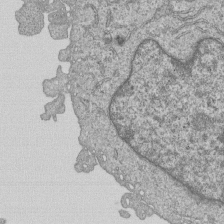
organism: Human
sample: MDA-MB-231 cells